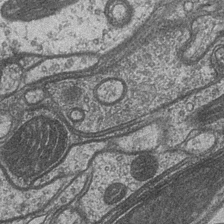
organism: Drosophila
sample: Optic medulla